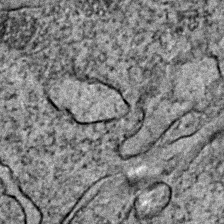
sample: Trachea